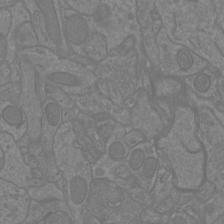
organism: Mouse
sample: Cortical neurons